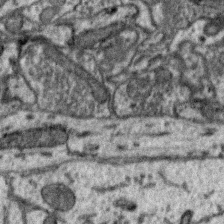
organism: Zebra finch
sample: Brain